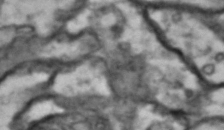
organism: Drosophila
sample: Brain